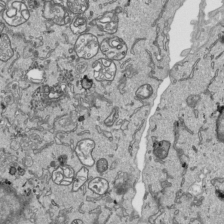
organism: Human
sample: Mitochondria in HCT116 cells